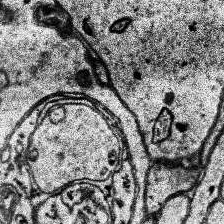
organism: Human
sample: Temporal Lobe